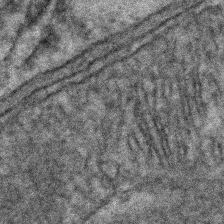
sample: Kidney